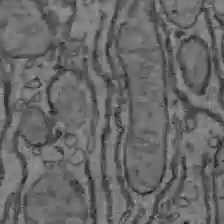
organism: C57BL Mouse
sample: Liver